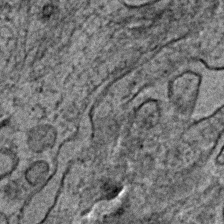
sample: Trachea